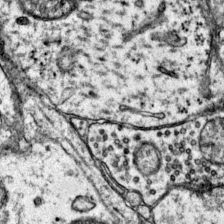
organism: Mouse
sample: Primary visual cortex